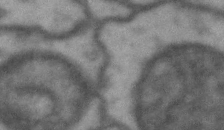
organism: Drosophila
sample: Brain